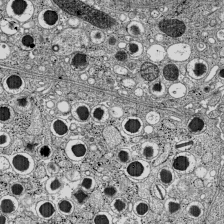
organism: C57BL Mouse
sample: Pancreatic islet